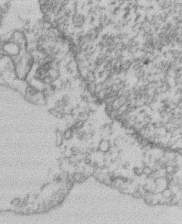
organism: Mouse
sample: T cell stromal cell synapse